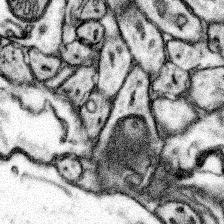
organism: Mouse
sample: Somatosensory cortex neuropil